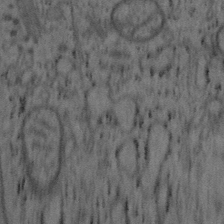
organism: Human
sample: HeLa cells